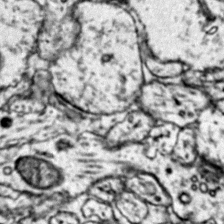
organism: Mouse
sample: Primary visual cortex